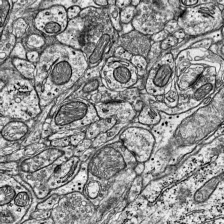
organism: Mouse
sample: Visual Cortex